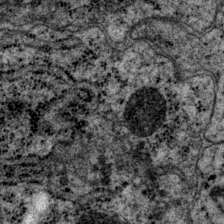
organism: P. pacificus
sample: Pharynx